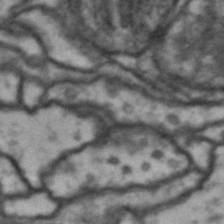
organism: Drosophila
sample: Brain